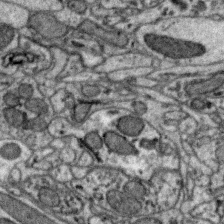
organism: Zebra finch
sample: Brain